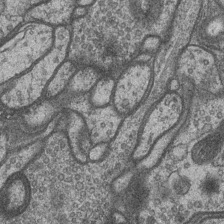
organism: Drosophila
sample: Optic medulla